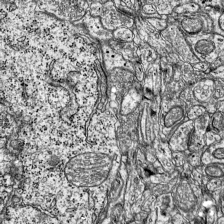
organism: Mouse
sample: Visual Cortex